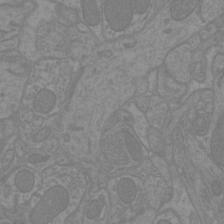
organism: Mouse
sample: Cortical neurons